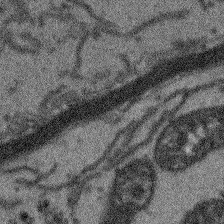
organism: Arabidopsis thaliana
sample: Root tip